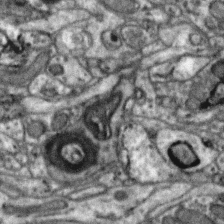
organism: Zebra finch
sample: Brain